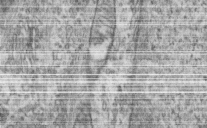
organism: Human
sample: Centriole in RPE cells